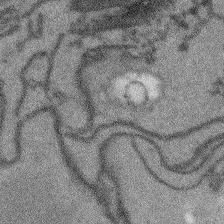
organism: Arabidopsis thaliana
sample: Root tip